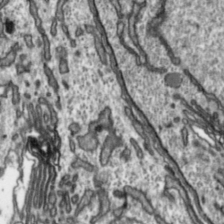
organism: Toxoplasma gondii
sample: Parasites in a vacuole inside a host cell